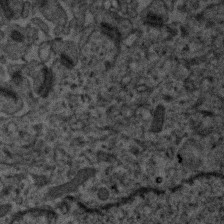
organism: Human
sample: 1205lu cells